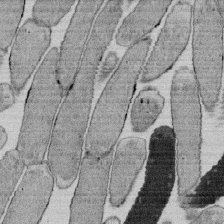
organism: E. coli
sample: Bacterial nucleoid